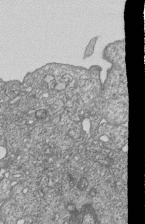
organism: Human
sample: MDA-MB-231 cells